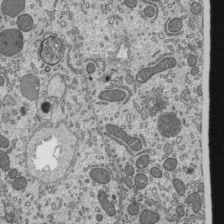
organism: Mouse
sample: Mouse epididymis efferent ductule cilia